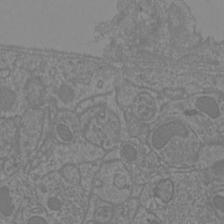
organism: Mouse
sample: Cortical neurons